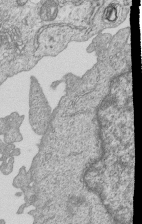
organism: Human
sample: MDA-MB-231 cells